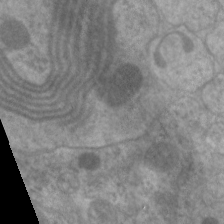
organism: C. elegans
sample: Pharynx